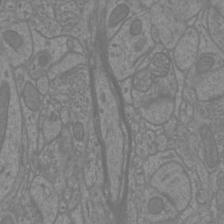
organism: Mouse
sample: Cortical neurons